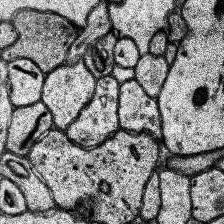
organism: Human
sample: Temporal Lobe